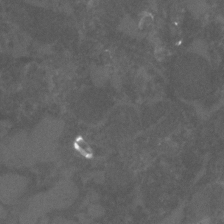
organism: C. elegans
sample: C. elegans embryo